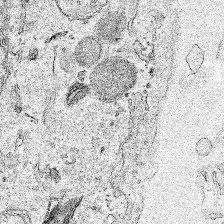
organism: Human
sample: Mitochondria in HCT116 cells